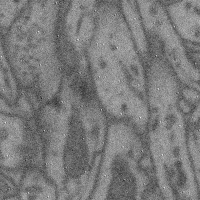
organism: Mouse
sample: Cerebral cortex